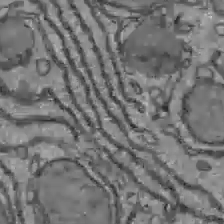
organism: C57BL Mouse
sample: Liver